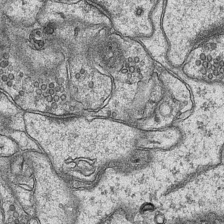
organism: Mouse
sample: CA1 Hippocampus